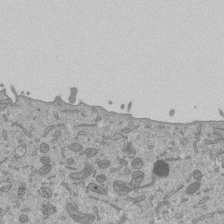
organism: Mouse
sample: ED-1 cell nuclei; centrioles